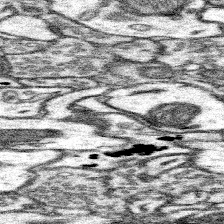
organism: Mouse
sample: Somatosensory cortex neuropil